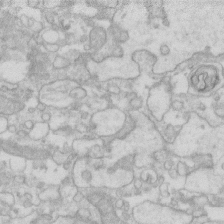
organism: Human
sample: Fibroblast cells